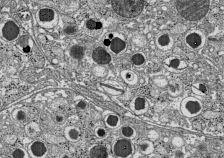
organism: C57BL Mouse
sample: Pancreatic islet